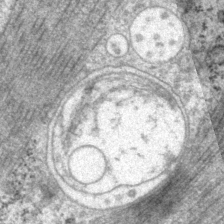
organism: P. pacificus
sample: Pharynx